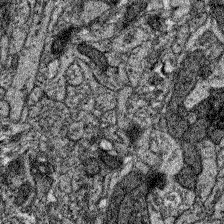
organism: Zebrafish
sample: Larval olfactory bulb